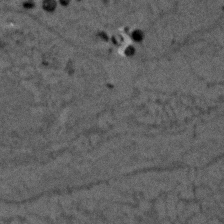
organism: Zebrafish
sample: Zebrafish embryo